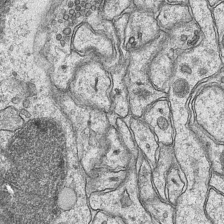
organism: Mouse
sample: CA1 Hippocampus